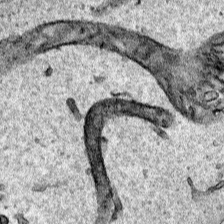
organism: Human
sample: Mitochondria in HCT116 cells